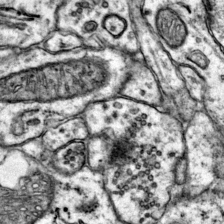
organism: Mouse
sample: Primary visual cortex